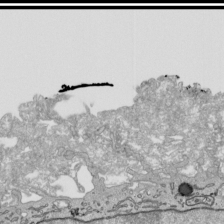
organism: Human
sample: Mitochondria in HCT116 cells